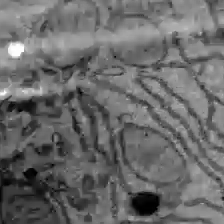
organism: C57BL Mouse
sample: Liver